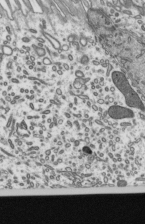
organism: Mouse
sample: Mouse epididymis efferent ductule cilia